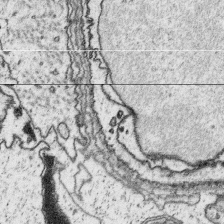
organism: Platynereis dumerilii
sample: Parapodia